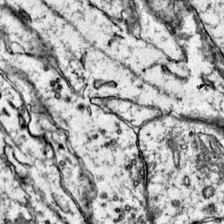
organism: Mouse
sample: Primary visual cortex